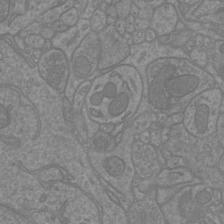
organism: Mouse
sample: Cortical neurons